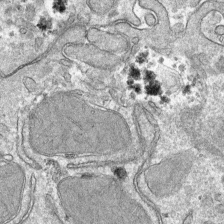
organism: Mouse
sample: Mouse hepatocytes